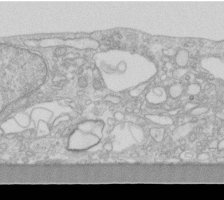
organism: Human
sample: Fibroblast cells